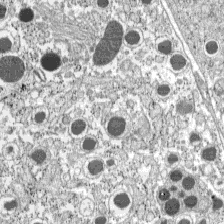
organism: C57BL Mouse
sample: Pancreatic islet